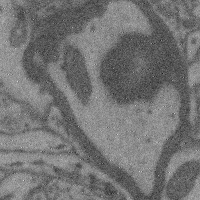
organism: Mouse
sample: Cerebral cortex